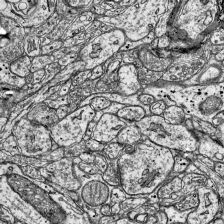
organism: Mouse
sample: Visual Cortex